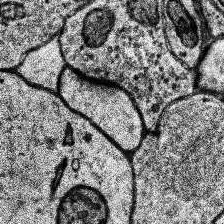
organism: Human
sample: Temporal Lobe